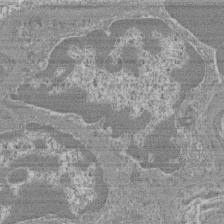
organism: Mouse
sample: Glomerulus